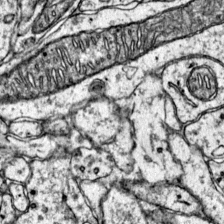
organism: Mouse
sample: Primary visual cortex